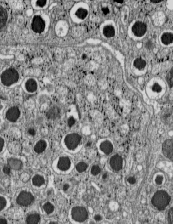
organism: C57BL Mouse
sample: Pancreatic islet